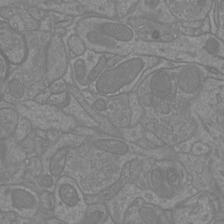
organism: Mouse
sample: Cortical neurons